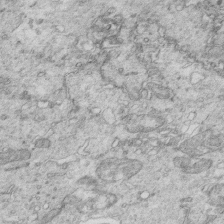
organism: Mouse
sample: Multiciliated cells